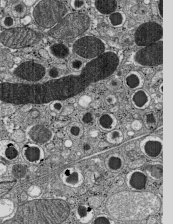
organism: C57BL Mouse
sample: Pancreatic islet